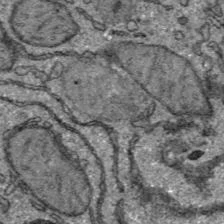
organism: C57BL Mouse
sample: Liver